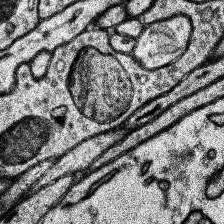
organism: Human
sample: Temporal Lobe